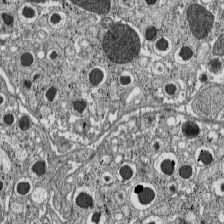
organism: C57BL Mouse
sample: Pancreatic islet